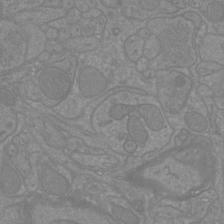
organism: Mouse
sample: Cortical neurons